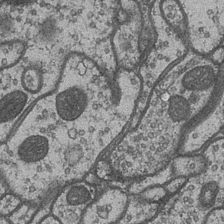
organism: Drosophila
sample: Optic medulla